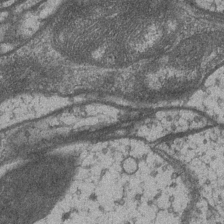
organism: Drosophila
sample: Optic medulla